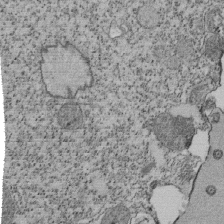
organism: Tetrahymena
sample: Cilia in tetrahymena